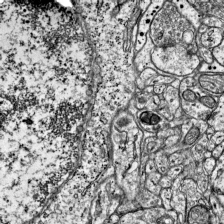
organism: Mouse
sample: Visual Cortex